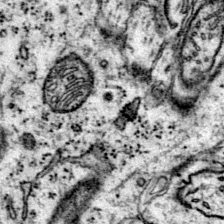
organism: Mouse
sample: Primary visual cortex